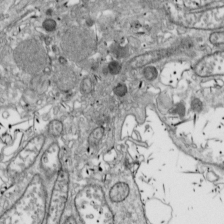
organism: Drosophila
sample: Cell division; meiosis; drosophila spermatocytes